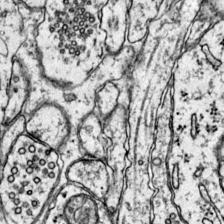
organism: Mouse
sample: Primary visual cortex